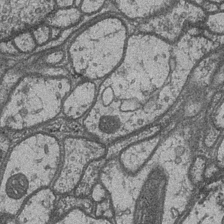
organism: Drosophila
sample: Optic medulla